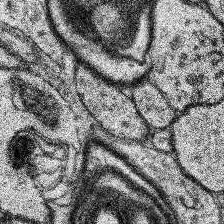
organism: Human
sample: Temporal Lobe